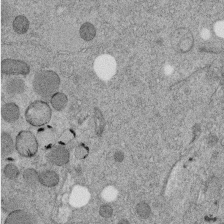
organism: C. elegans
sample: C. elegans embryo early stage